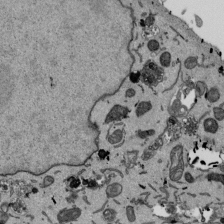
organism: Mouse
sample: ED-1 cell nuclei; centrioles